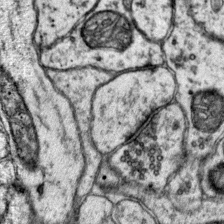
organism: Mouse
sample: Primary visual cortex